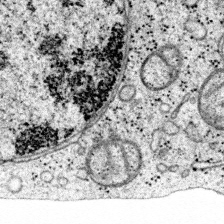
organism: Human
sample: HeLa cells